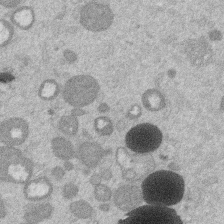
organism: Mouse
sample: Dividing mouse embryo 1 cell stage